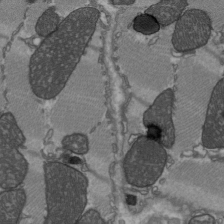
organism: C57BL Mouse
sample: Heart